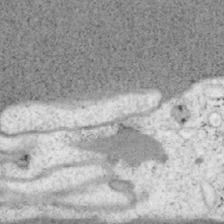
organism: Mouse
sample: OT-I killer T cells with ID8 ovarian cancer cells